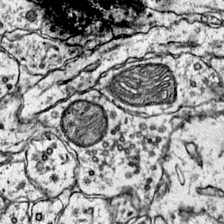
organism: Mouse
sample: Primary visual cortex